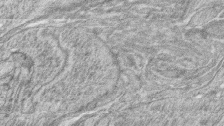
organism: Zebrafish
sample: synaptic ribbons in rod cells and cone cells